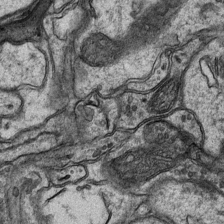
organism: Mouse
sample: CA1 Hippocampus